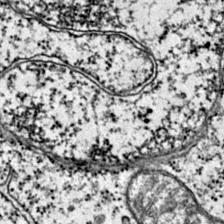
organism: Mouse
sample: Primary visual cortex